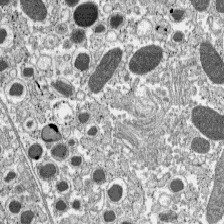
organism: C57BL Mouse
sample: Pancreatic islet